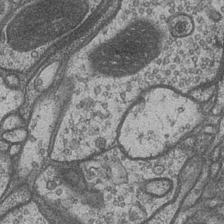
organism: Drosophila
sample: Optic medulla